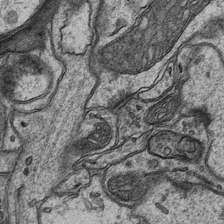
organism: Mouse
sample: CA1 Hippocampus